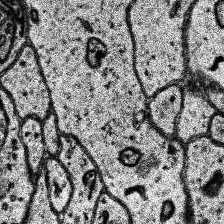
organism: Human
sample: Temporal Lobe